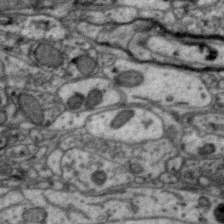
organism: Zebra finch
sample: Brain